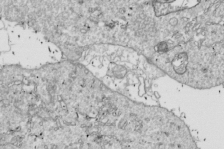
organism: Drosophila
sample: Cell division; meiosis; drosophila spermatocytes